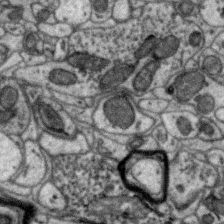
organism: Zebra finch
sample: Brain